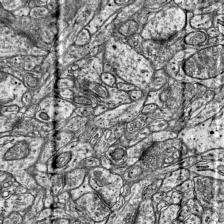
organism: Mouse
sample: Visual Cortex